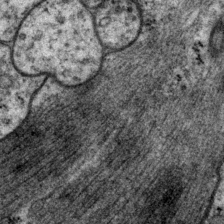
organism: P. pacificus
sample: Pharynx